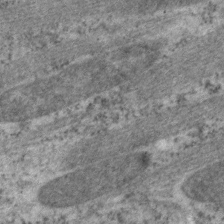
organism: C. elegans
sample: Pharynx